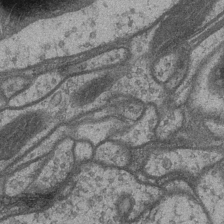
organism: Drosophila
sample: Optic medulla